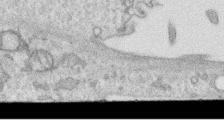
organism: Human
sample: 1205lu cells